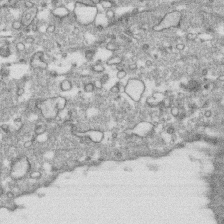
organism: Human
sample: CRL-1474